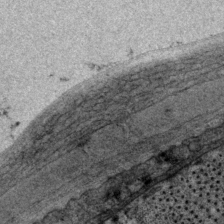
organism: P. pacificus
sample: Pharynx